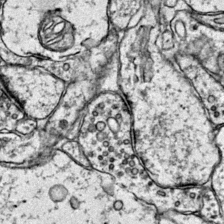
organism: Mouse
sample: Primary visual cortex